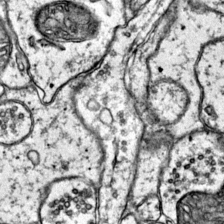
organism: Mouse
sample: Primary visual cortex